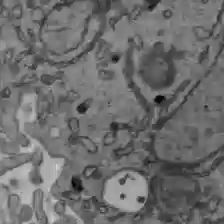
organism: C57BL Mouse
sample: Liver